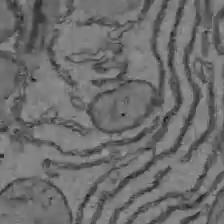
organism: C57BL Mouse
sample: Liver